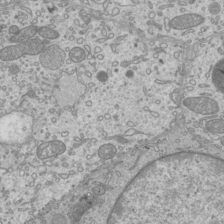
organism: Mouse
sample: Cilia; mouse epididymis